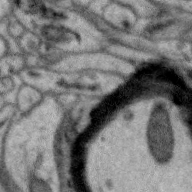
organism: Zebra finch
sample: Brain